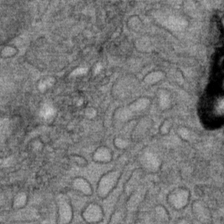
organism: Mouse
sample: Mouse Salivary gland